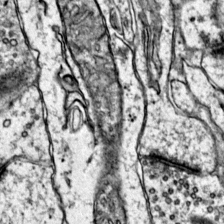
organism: Mouse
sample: Primary visual cortex